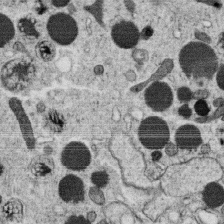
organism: C. elegans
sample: C. elegans oocyte; sperm cells